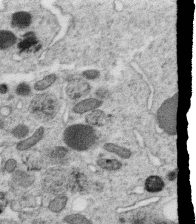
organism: C. elegans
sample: C. elegans oocyte; sperm cells